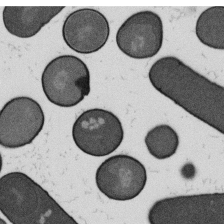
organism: B. subtilis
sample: Bacterial spore